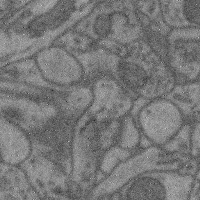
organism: Mouse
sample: Cerebral cortex